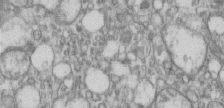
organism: Human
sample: Centriole in RPE cells